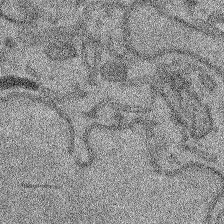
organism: Human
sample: HeLa cells